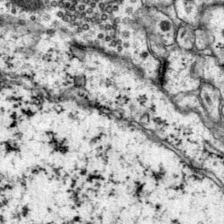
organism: Mouse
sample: Primary visual cortex